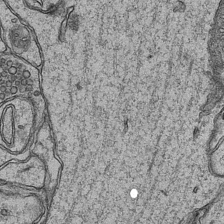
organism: Mouse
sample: CA1 Hippocampus